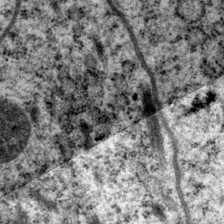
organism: P. pacificus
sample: Pharynx